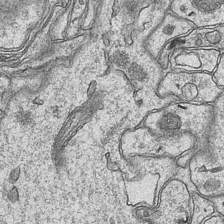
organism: Mouse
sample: CA1 Hippocampus